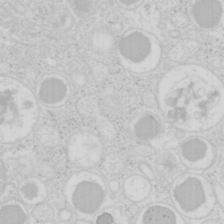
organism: Mouse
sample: Pancreas